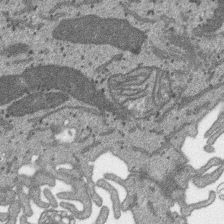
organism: Human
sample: Lung epithelial cells infected with SARS-CoV-2